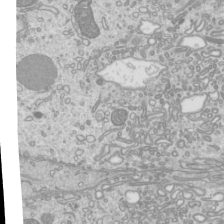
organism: Mouse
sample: Cilia; mouse epididymis